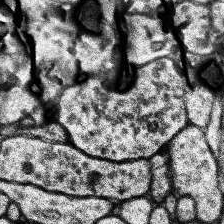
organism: Human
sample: Temporal Lobe